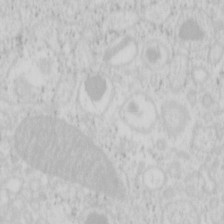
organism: Mouse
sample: Pancreas